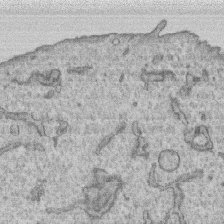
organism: Human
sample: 1205lu cells